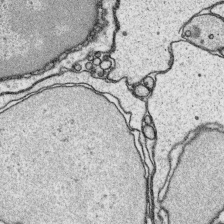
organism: Platynereis dumerilii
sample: Parapodia